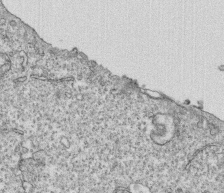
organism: Human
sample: HeLa cell HIV synapse